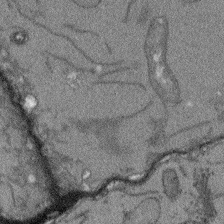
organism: Arabidopsis thaliana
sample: Root tip